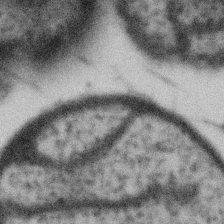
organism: Gemmata obscuriglobus